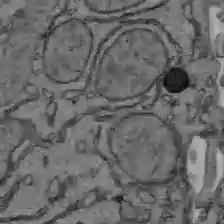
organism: C57BL Mouse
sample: Liver